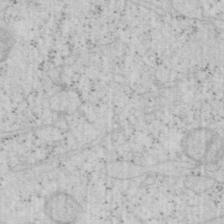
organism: Human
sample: HeLa cells